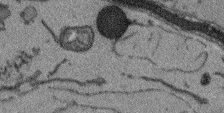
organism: Arabidopsis thaliana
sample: Root tip